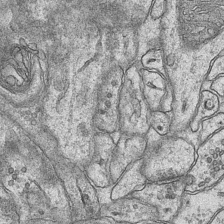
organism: Mouse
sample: CA1 Hippocampus